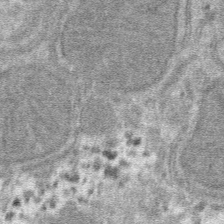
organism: Mouse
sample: Mouse hepatocytes